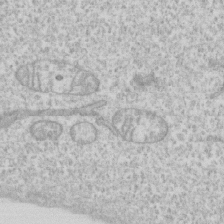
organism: Human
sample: CRL-1474